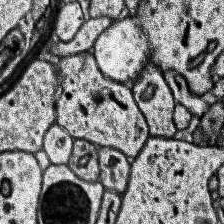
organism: Human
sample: Temporal Lobe